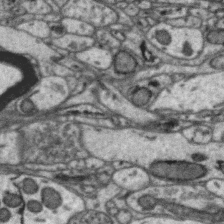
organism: Zebra finch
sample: Brain